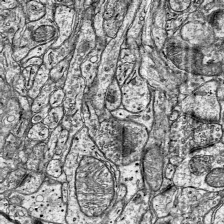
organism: Mouse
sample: Visual Cortex